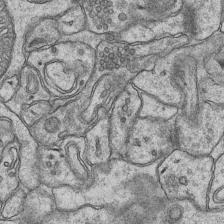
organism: Mouse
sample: CA1 Hippocampus